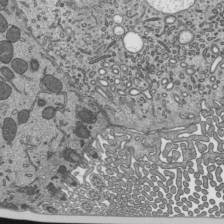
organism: Mouse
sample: Mouse epididymis efferent ductule cilia